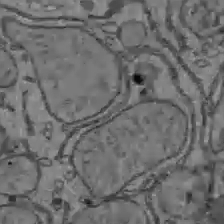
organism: C57BL Mouse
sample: Liver